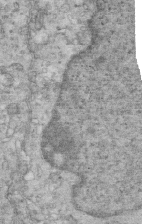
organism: Mouse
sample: Multiciliated cells